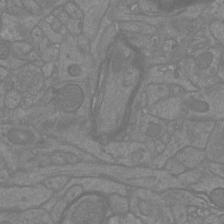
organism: Mouse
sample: Cortical neurons